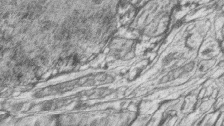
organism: Zebrafish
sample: synaptic ribbons in rod cells and cone cells